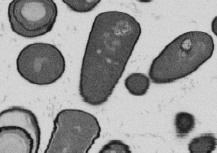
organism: B. subtilis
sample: Bacterial spore